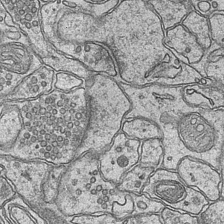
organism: Mouse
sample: CA1 Hippocampus